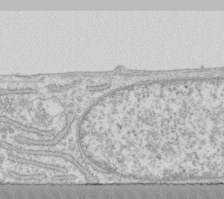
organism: Human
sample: Fibroblast cells